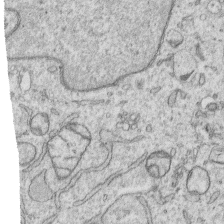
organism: Human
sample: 1205lu cells